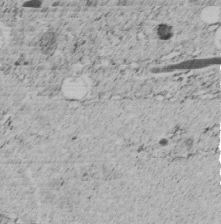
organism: C. elegans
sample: C. elegans embryo early stage